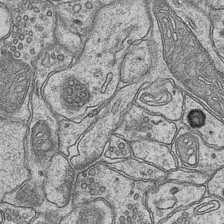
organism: Mouse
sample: CA1 Hippocampus